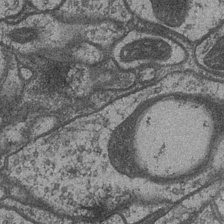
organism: Drosophila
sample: Optic medulla